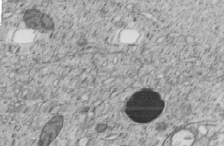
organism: C. elegans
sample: C. elegans embryo early stage